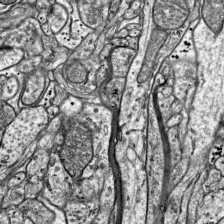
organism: Mouse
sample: Visual Cortex